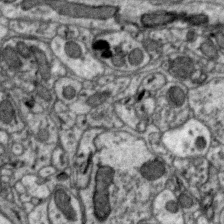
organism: Zebra finch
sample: Brain